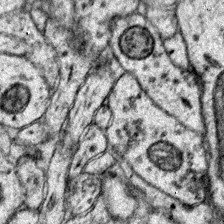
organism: Mouse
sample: Primary visual cortex